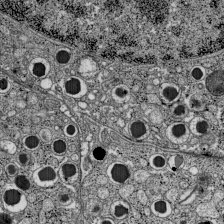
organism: C57BL Mouse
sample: Pancreatic islet